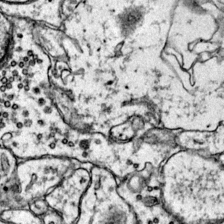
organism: Mouse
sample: Primary visual cortex